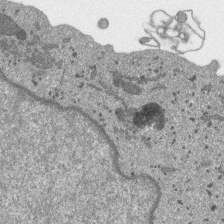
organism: Human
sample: Lung epithelial cells infected with SARS-CoV-2